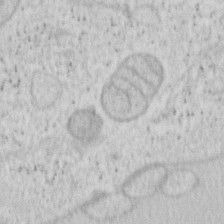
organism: Human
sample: HeLa cells